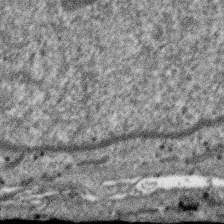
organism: Human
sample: Lung epithelial cells infected with SARS-CoV-2